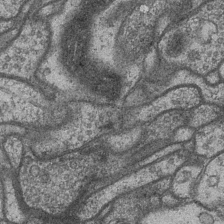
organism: Drosophila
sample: Optic medulla